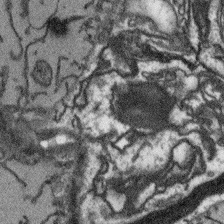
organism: Arabidopsis thaliana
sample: Root tip